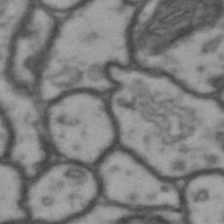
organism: Drosophila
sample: Brain